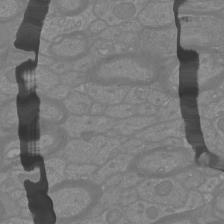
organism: Mouse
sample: Cortical neurons